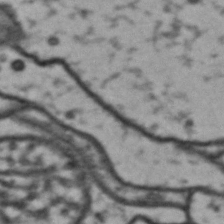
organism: Drosophila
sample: Brain